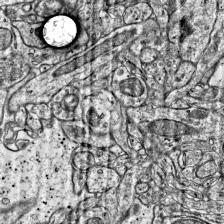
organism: Mouse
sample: Visual Cortex